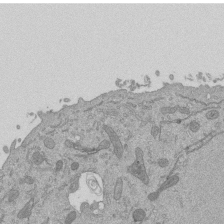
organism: Mouse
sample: ED-1 cell nuclei; centrioles